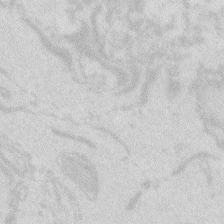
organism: Zebrafish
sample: Macrophage